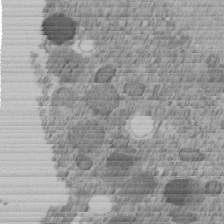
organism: C. elegans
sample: C. elegans embryo early stage